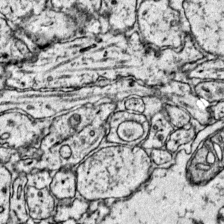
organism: Mouse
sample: Primary visual cortex